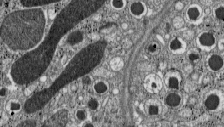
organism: C57BL Mouse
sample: Pancreatic islet